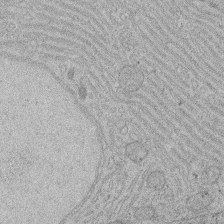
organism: Rat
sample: Salivary granule